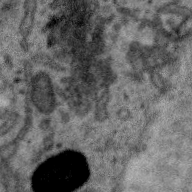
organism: Zebra finch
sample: Brain